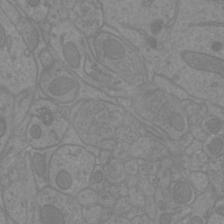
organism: Mouse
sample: Cortical neurons